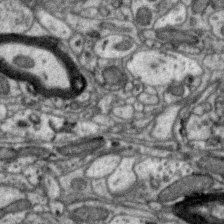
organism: Zebra finch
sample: Brain